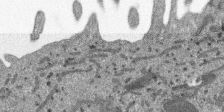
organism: Human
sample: Lung epithelial cells infected with SARS-CoV-2